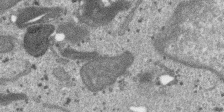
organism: Human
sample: Lung epithelial cells infected with SARS-CoV-2